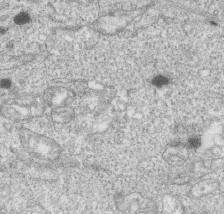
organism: Human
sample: HeLa cell HIV synapse